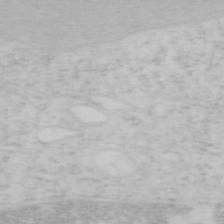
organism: Mouse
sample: OT-I killer T cells with ID8 ovarian cancer cells